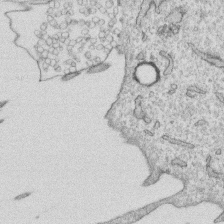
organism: Human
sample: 1205lu cells